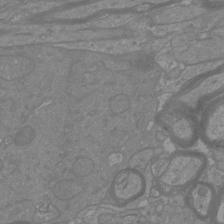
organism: Mouse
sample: Cortical neurons